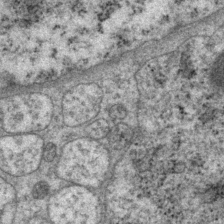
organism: P. pacificus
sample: Pharynx